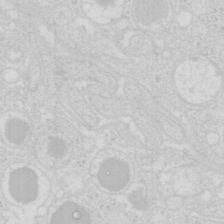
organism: Mouse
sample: Pancreas